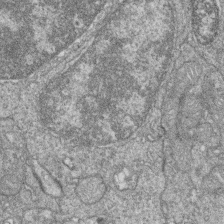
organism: Zebrafish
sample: Cilia; retinal pigment epithelium